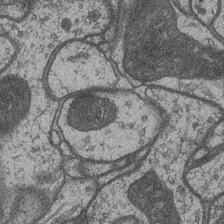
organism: Drosophila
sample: Optic medulla